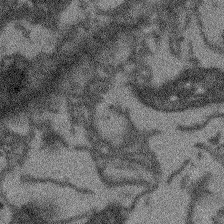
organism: Arabidopsis thaliana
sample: Root tip